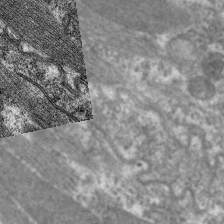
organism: C. elegans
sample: Pharynx